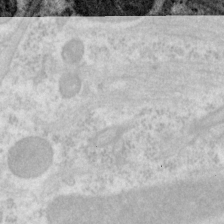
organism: P. pacificus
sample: Pharynx